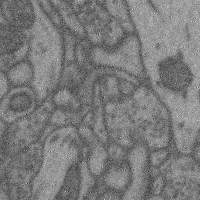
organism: Mouse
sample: Cerebral cortex